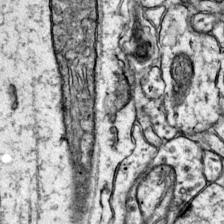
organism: Mouse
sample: Primary visual cortex